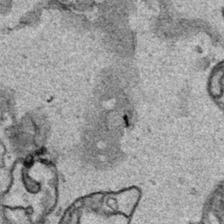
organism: Human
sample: Mitochondria in HCT116 cells